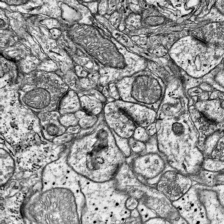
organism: Mouse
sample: Visual Cortex